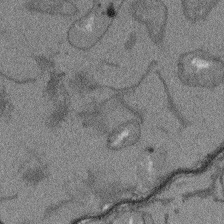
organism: Arabidopsis thaliana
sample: Root tip